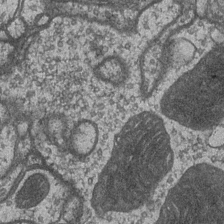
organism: Drosophila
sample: Optic medulla